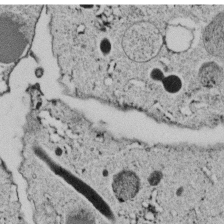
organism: C. elegans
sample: C. elegans embryo early stage